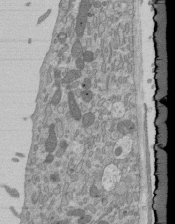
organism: Mouse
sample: ED-1 cell nuclei; centrioles